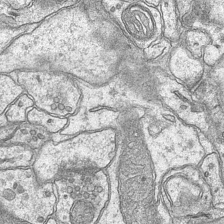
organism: Mouse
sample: CA1 Hippocampus